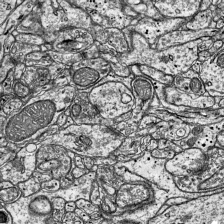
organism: Mouse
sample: Visual Cortex